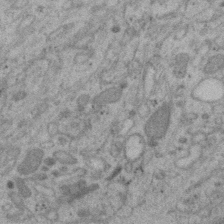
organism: Human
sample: HeLa cells